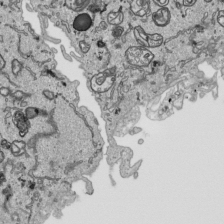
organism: Human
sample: Mitochondria in HCT116 cells